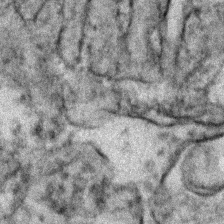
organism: Zebrafish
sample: Zebrafish embryo